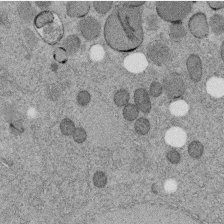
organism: C. elegans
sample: C. elegans embryo early stage